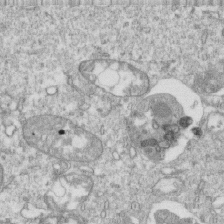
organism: Mouse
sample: Activated OT-1 CD8+ T cells